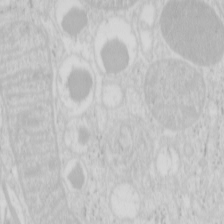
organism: Mouse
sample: Pancreas